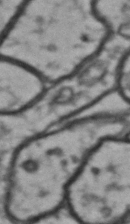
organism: Drosophila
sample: Brain